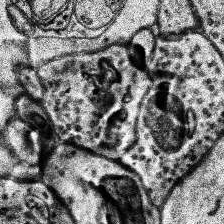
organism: Human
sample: Temporal Lobe